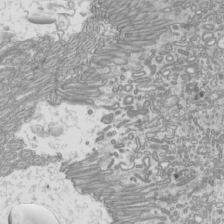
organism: Mouse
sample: Cilia; mouse epididymis